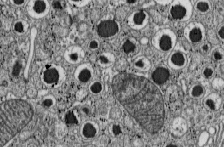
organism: C57BL Mouse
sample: Pancreatic islet